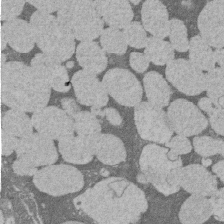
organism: Rat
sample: Salivary granule